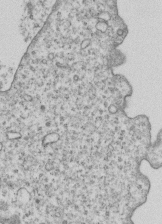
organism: Human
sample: MDA-MB-231 cells